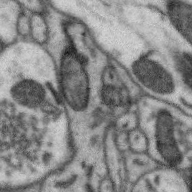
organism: Zebra finch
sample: Brain